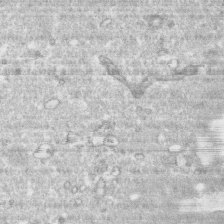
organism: Human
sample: CRL-1474